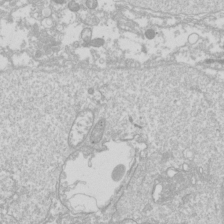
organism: Drosophila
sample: Cell division; meiosis; drosophila spermatocytes